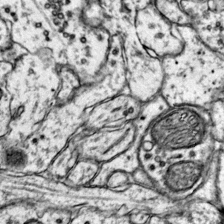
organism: Mouse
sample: Primary visual cortex